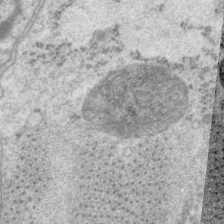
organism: P. pacificus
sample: Pharynx